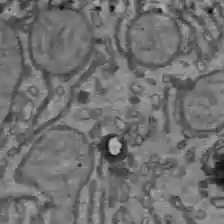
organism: C57BL Mouse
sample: Liver